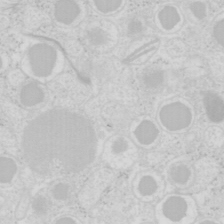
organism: Mouse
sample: Pancreas